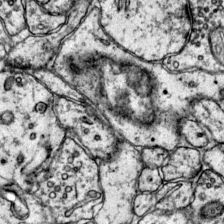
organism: Mouse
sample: Primary visual cortex